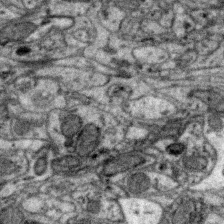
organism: Zebra finch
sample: Brain